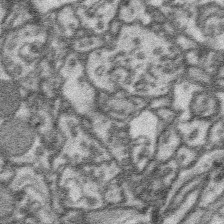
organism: Platynereis dumerilii